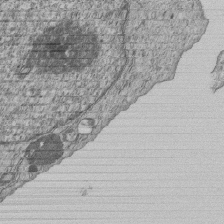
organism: Human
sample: MDA-MB-231 cells